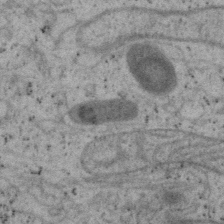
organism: Human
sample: HeLa cells